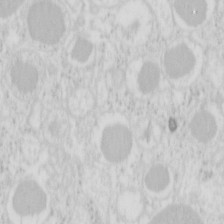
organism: Mouse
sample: Pancreas